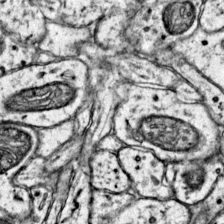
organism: Mouse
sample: Primary visual cortex